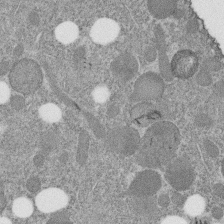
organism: C. elegans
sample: C. elegans embryo early stage